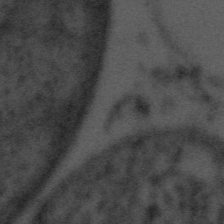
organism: Tuwongella immobilis